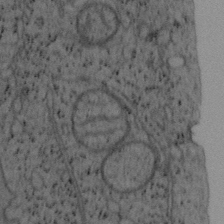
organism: Human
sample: HeLa cells